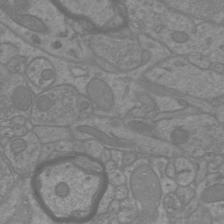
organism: Mouse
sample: Cortical neurons